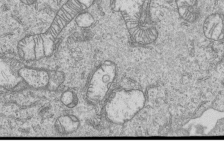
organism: Human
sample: MDA-MB-231 cells